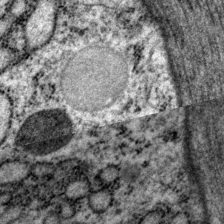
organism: P. pacificus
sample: Pharynx